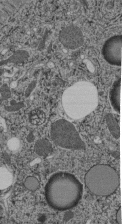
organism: C. elegans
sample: C. elegans pharynx